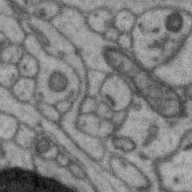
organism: Zebra finch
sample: Brain